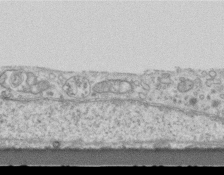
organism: Mouse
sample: Centriole in ependymal cells